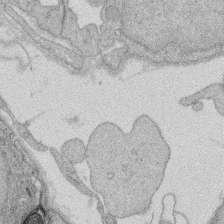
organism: Rat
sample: Salivary granule